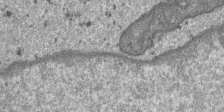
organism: Human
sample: Lung epithelial cells infected with SARS-CoV-2